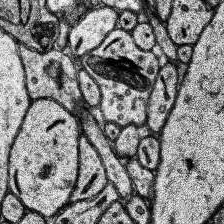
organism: Human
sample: Temporal Lobe